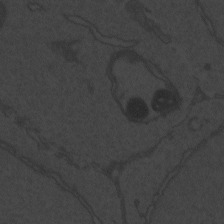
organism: Zebrafish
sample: Macrophage infected with Toxoplasma gondii